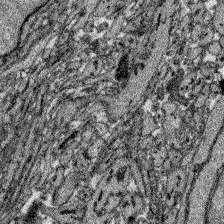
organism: Zebrafish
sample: Larval olfactory bulb